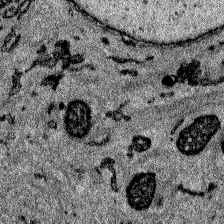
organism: Zebrafish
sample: Larval olfactory bulb